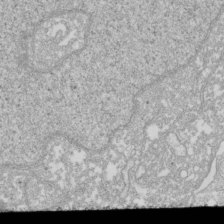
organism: Xenopus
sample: Cilia; centrioles in frog embryo cells